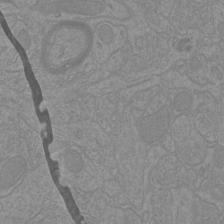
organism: Mouse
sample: Cortical neurons